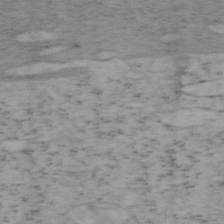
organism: Mouse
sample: OT-I killer T cells with ID8 ovarian cancer cells